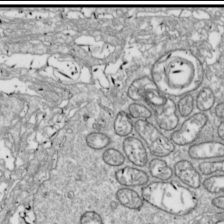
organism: Drosophila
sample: Cell division; meiosis; drosophila spermatocytes